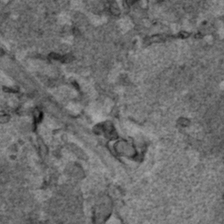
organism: Human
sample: Mitochondria in HCT116 cells